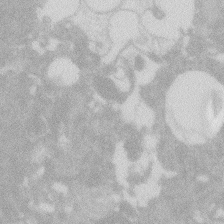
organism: Zebrafish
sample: Macrophage